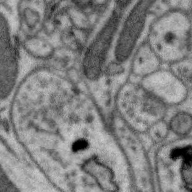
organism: Zebra finch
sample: Brain